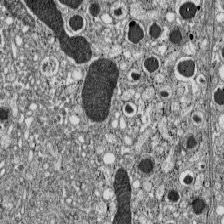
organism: C57BL Mouse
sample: Pancreatic islet